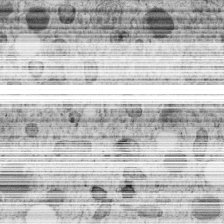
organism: C. elegans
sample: C. elegans embryo early stage